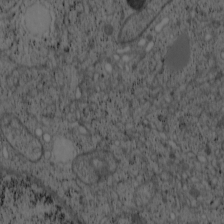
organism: African green monkey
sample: COS-7 cells